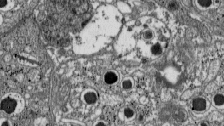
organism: C57BL Mouse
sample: Pancreatic islet